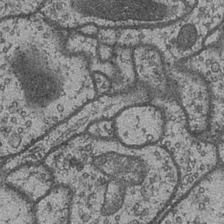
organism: Drosophila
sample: Optic medulla